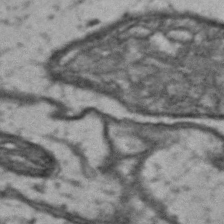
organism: Drosophila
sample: Brain